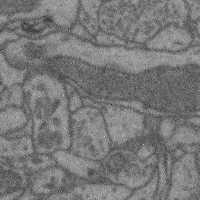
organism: Mouse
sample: Cerebral cortex